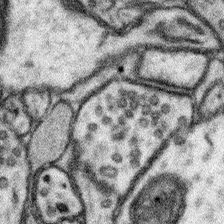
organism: Mouse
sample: Somatosensory cortex neuropil